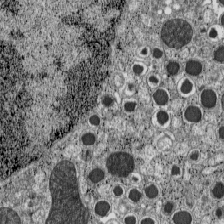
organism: C57BL Mouse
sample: Pancreatic islet